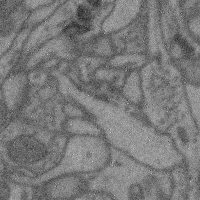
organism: Mouse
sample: Cerebral cortex